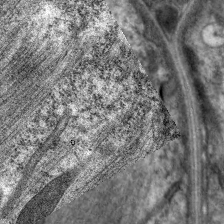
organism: C. elegans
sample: Pharynx